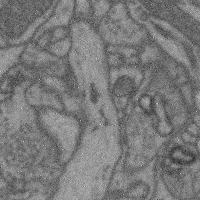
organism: Mouse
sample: Cerebral cortex